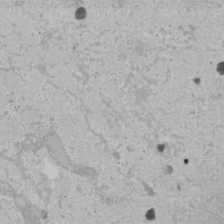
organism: Human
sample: Mitochondria in U2OS cells